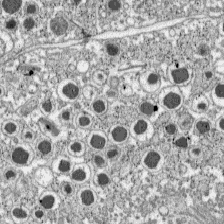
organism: C57BL Mouse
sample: Pancreatic islet